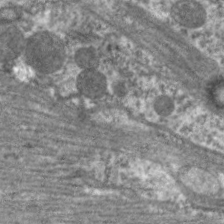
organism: C. elegans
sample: Pharynx